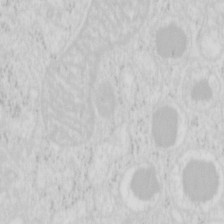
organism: Mouse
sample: Pancreas